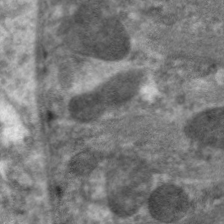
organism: C. elegans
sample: Pharynx